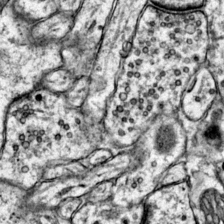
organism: Mouse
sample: Primary visual cortex